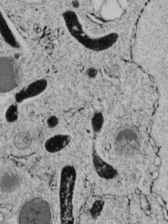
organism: C. elegans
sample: C. elegans embryo early stage